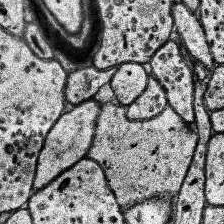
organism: Human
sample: Temporal Lobe